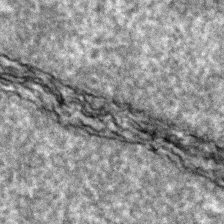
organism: Zebrafish